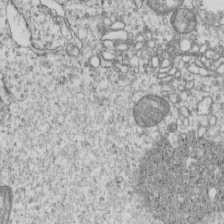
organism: Human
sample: MDA-MB-231 cells